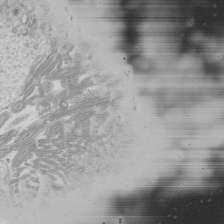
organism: Mouse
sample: Cilia; mouse epididymis